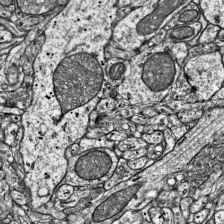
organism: Mouse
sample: Visual Cortex